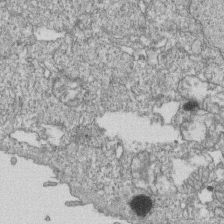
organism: Human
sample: HeLa cell HIV synapse